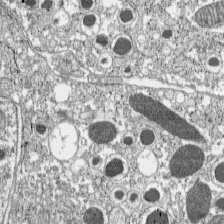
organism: C57BL Mouse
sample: Pancreatic islet